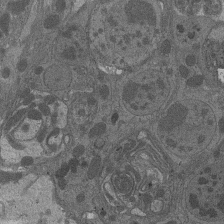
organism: Drosophila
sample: Antenna